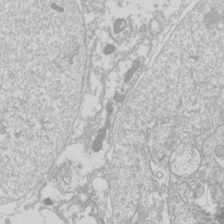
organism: Drosophila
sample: Cell division; meiosis; drosophila spermatocytes